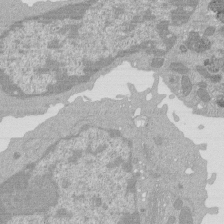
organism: Mouse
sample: Activated Pmel transgenic CD8+ T Cells